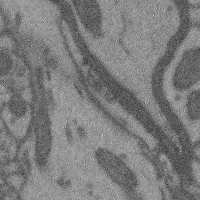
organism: Mouse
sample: Cerebral cortex